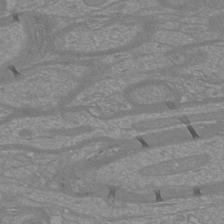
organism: Mouse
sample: Cortical neurons